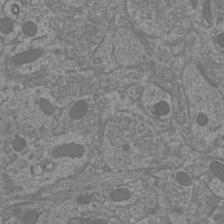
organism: Mouse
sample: Cortical neurons